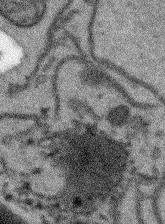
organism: Arabidopsis thaliana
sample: Root tip